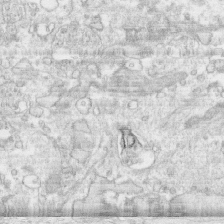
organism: Human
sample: CRL-1474